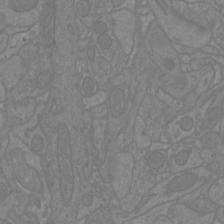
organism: Mouse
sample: Cortical neurons